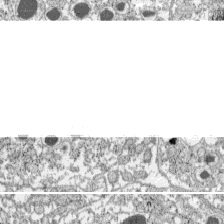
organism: C57BL Mouse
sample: Pancreatic islet